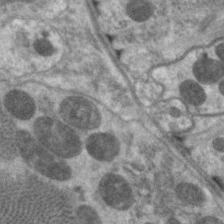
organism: C. elegans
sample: Pharynx